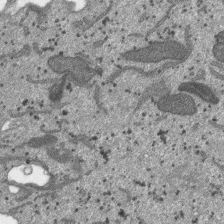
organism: Human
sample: Lung epithelial cells infected with SARS-CoV-2